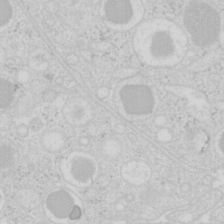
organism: Mouse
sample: Pancreas